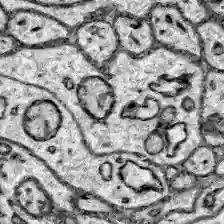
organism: Zebrafish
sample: Brain